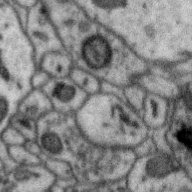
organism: Zebra finch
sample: Brain